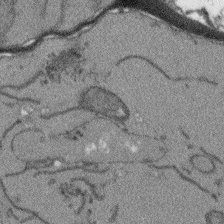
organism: Arabidopsis thaliana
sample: Root tip